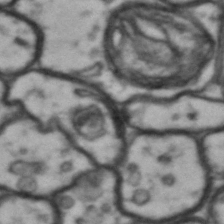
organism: Drosophila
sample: Brain